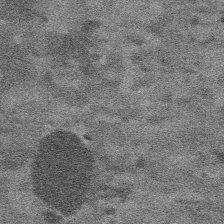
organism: Platynereis dumerilii